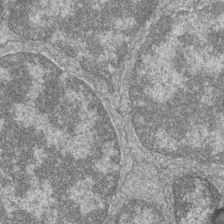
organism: Zebrafish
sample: Cilia; retinal pigment epithelium